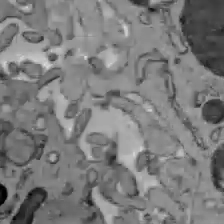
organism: C57BL Mouse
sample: Liver